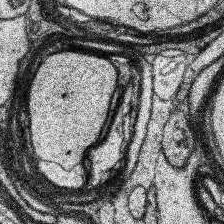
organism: Human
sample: Temporal Lobe